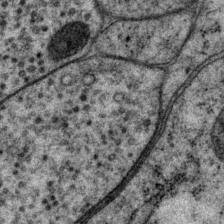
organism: P. pacificus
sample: Pharynx